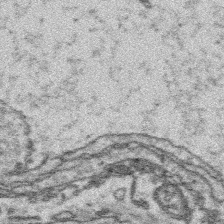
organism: Platynereis dumerilii